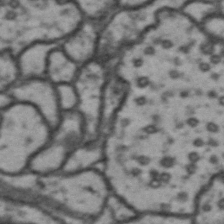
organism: Drosophila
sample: Brain